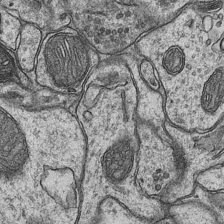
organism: Mouse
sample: CA1 Hippocampus